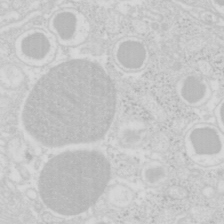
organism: Mouse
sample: Pancreas